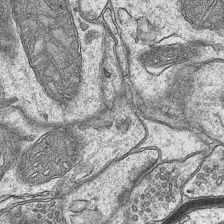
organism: Mouse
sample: CA1 Hippocampus